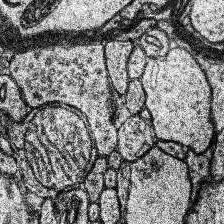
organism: Human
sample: Temporal Lobe